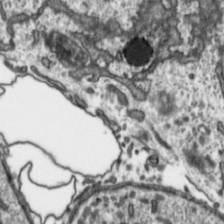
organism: Toxoplasma gondii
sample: Parasites in a vacuole inside a host cell